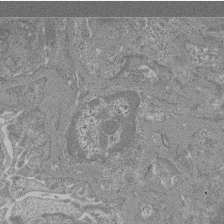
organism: Mouse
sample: Glomerulus